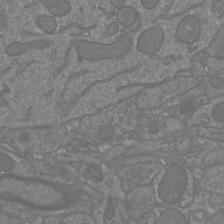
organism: Mouse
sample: Cortical neurons